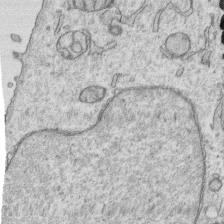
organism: Human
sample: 1205lu cells